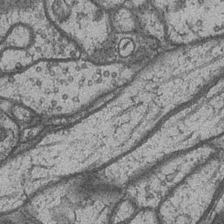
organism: Drosophila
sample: Optic medulla